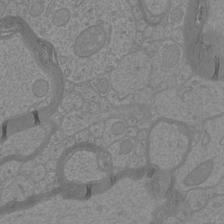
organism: Mouse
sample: Cortical neurons